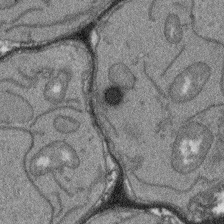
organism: Arabidopsis thaliana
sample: Root tip